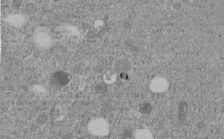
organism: C. elegans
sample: C. elegans embryo early stage